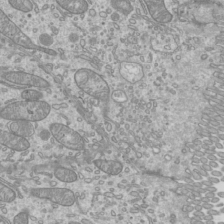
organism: Mouse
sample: Cilia; mouse epididymis